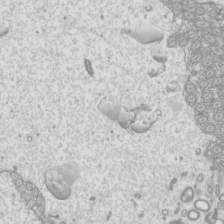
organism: Mouse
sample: Cilia; mouse epididymis